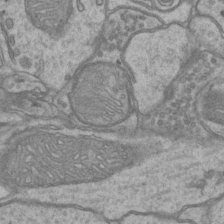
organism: Mouse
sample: CA1 Hippocampus